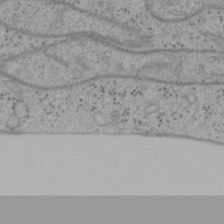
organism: Human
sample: HeLa cells